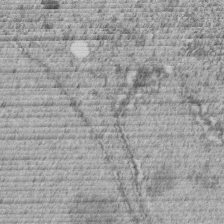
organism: C. elegans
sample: C. elegans embryo early stage